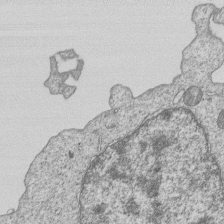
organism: Human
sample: MDA-MB-231 cells